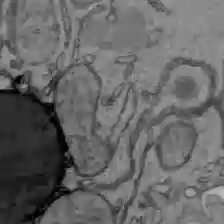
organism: C57BL Mouse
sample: Liver